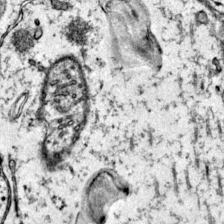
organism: Mouse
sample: Primary visual cortex